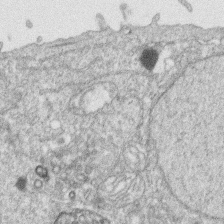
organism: Human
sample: HeLa cell HIV synapse